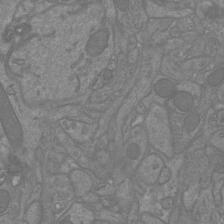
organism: Mouse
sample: Cortical neurons